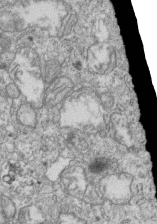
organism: Human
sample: HeLa cell HIV synapse